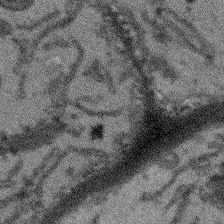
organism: Arabidopsis thaliana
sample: Root tip